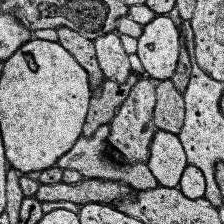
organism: Human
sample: Temporal Lobe